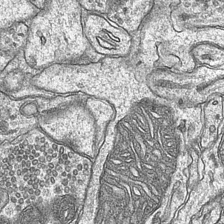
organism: Mouse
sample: CA1 Hippocampus